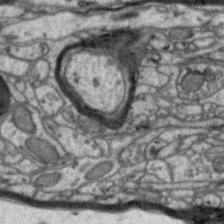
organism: Zebra finch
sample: Brain